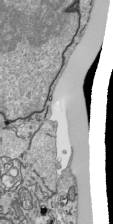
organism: Human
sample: Mitochondria in HCT116 cells